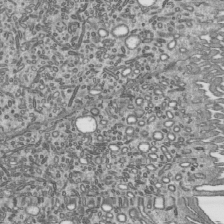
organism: Mouse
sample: Mouse epididymis efferent ductule cilia